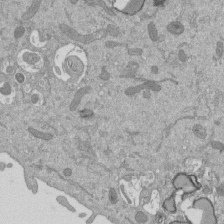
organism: Mouse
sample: ED-1 cell nuclei; centrioles